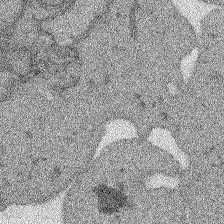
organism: Human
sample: HeLa cells